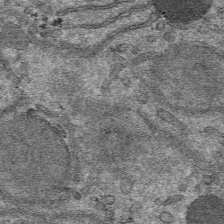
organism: Mouse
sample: Mouse hepatocytes